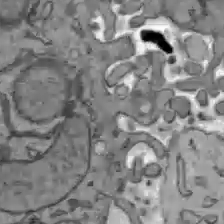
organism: C57BL Mouse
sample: Liver